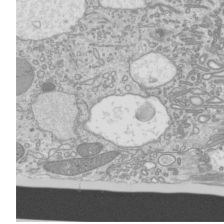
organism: Mouse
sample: Cilia; mouse epididymis